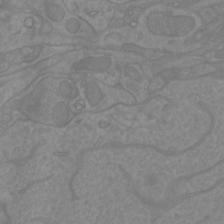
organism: Mouse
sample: Cortical neurons